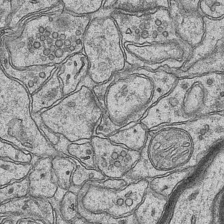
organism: Mouse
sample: CA1 Hippocampus